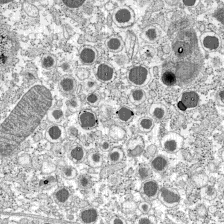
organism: C57BL Mouse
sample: Pancreatic islet